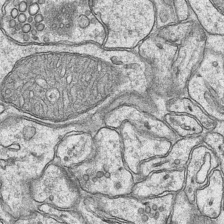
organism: Mouse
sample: CA1 Hippocampus